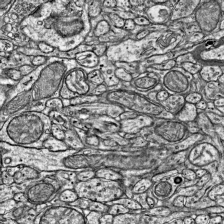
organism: Mouse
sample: Visual Cortex